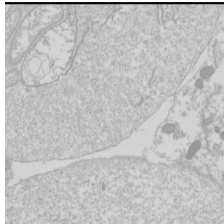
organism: Drosophila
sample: Cell division; meiosis; drosophila spermatocytes